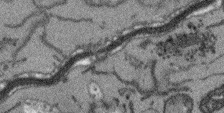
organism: Arabidopsis thaliana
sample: Root tip